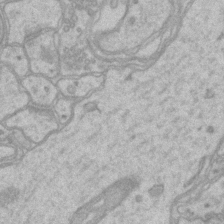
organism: Mouse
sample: CA1 Hippocampus